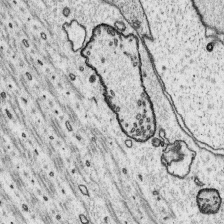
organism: Platynereis dumerilii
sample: Parapodia